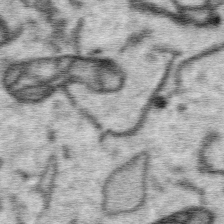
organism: Human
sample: HeLa cells